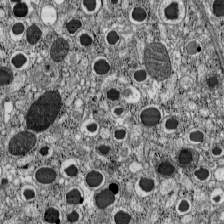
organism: C57BL Mouse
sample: Pancreatic islet